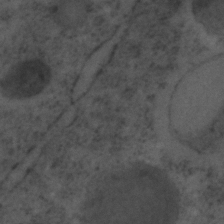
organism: C. elegans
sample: C. elegans embryo